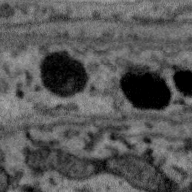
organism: Zebra finch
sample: Brain